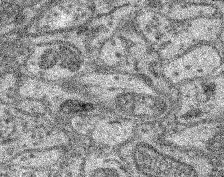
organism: Mouse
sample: Retina